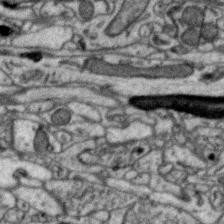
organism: Zebra finch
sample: Brain